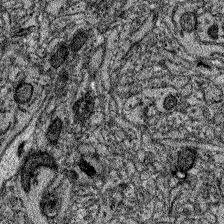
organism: Zebrafish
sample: Larval olfactory bulb